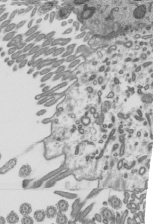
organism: Mouse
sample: Mouse epididymis efferent ductule cilia